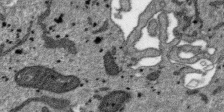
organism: Human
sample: Lung epithelial cells, uninfected (mock) control